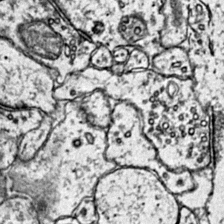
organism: Mouse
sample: Primary visual cortex